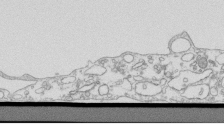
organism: Mouse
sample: Macrophages